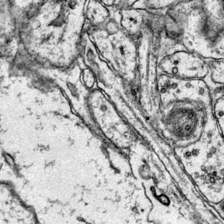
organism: Mouse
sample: Primary visual cortex